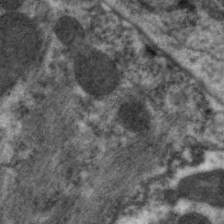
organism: C. elegans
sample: Pharynx